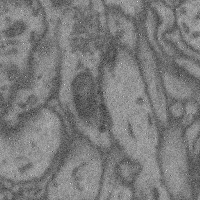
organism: Mouse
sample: Cerebral cortex